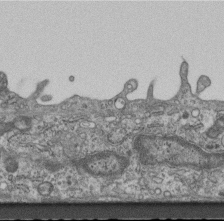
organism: Mouse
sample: Centriole in ependymal cells